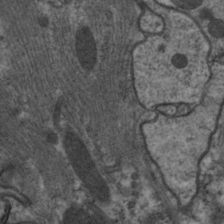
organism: C. elegans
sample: Pharynx